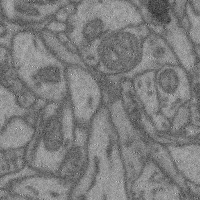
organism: Mouse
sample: Cerebral cortex